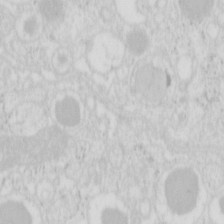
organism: Mouse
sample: Pancreas